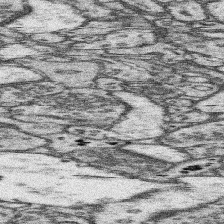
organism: Mouse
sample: Somatosensory cortex neuropil